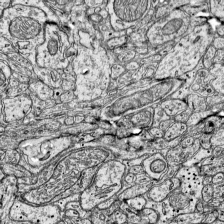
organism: Mouse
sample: Visual Cortex